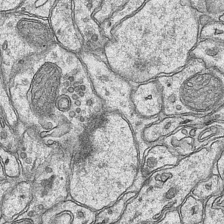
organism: Mouse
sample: CA1 Hippocampus